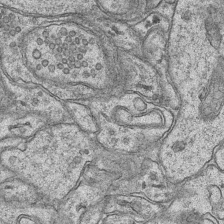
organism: Mouse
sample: CA1 Hippocampus